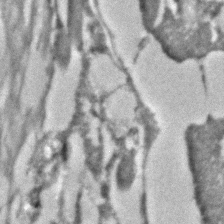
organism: C. elegans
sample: C. elegans embryo